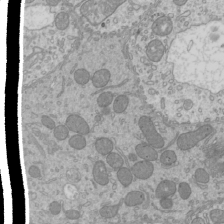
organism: Mouse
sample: Cilia; mouse epididymis